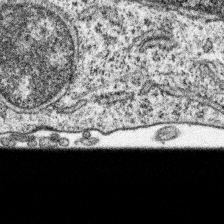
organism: Human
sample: HeLa cells